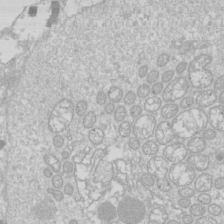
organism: Drosophila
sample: Cell division; meiosis; drosophila spermatocytes